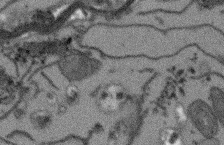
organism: Arabidopsis thaliana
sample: Root tip